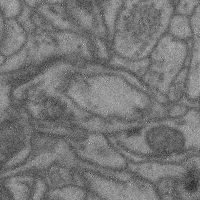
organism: Mouse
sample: Cerebral cortex